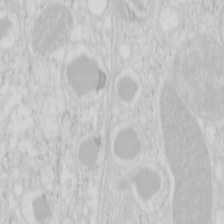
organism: Mouse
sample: Pancreas